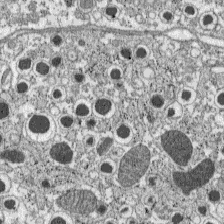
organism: C57BL Mouse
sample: Pancreatic islet